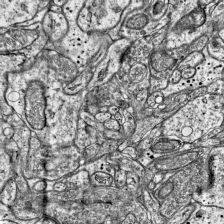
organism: Mouse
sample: Visual Cortex